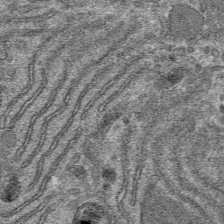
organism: Mouse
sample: Mouse hepatocytes